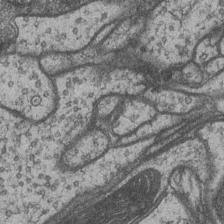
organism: Drosophila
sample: Optic medulla